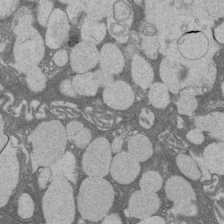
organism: Rat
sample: Salivary granule